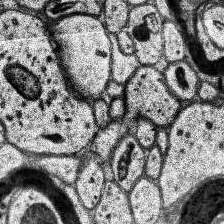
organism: Human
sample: Temporal Lobe